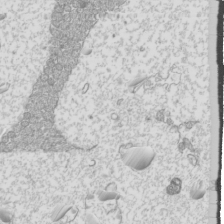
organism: Mouse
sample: Cilia; mouse epididymis